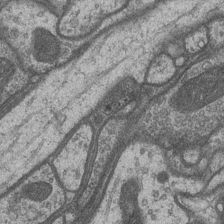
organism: Drosophila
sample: Optic medulla